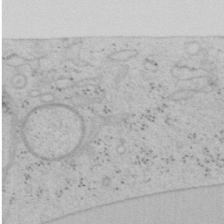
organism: Human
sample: HeLa cells